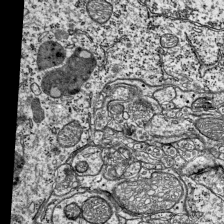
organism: Mouse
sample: Visual Cortex